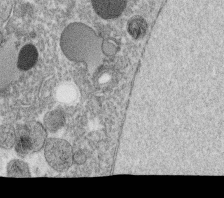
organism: C. elegans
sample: C. elegans oocyte; sperm cells